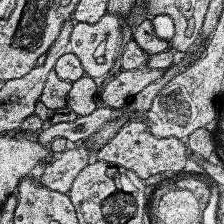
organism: Human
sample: Temporal Lobe